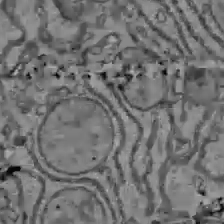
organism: C57BL Mouse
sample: Liver